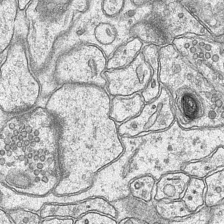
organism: Mouse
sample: CA1 Hippocampus